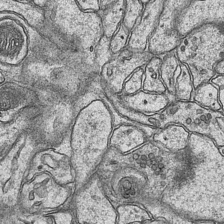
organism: Mouse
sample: CA1 Hippocampus